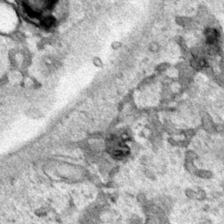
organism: Human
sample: Mitochondria in HCT116 cells